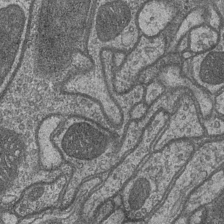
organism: Drosophila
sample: Optic medulla